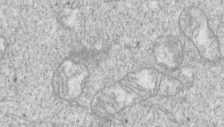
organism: Human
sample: HeLa cell HIV synapse